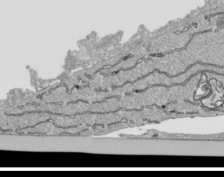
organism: Human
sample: Mitochondria in HCT116 cells